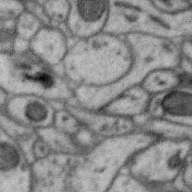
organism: Zebra finch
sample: Brain